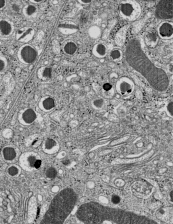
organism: C57BL Mouse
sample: Pancreatic islet